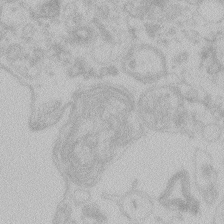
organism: Zebrafish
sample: Macrophage infected with Toxoplasma gondii